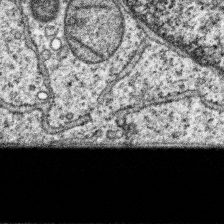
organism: Human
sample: HeLa cells